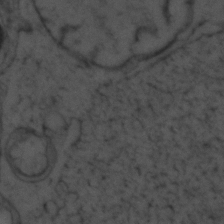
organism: Zebrafish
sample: Zebrafish embryo